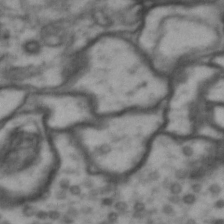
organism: Drosophila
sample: Brain